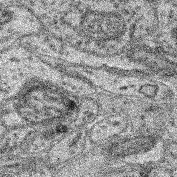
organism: Mouse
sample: Retina